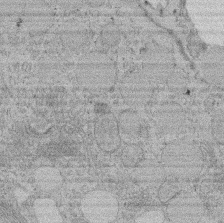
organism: Rat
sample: Salivary granule